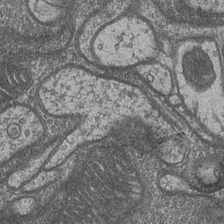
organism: Drosophila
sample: Optic medulla